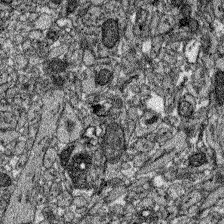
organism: Zebrafish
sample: Larval olfactory bulb